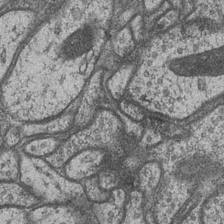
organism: Drosophila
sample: Optic medulla